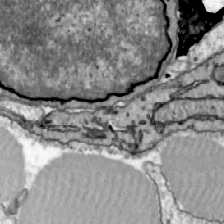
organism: Zebrafish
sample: Actinotrichia fibers